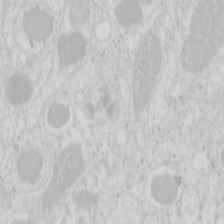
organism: Mouse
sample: Pancreas